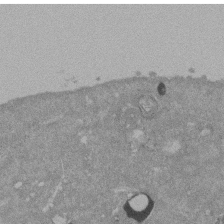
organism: Mouse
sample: ED-1 cell nuclei; centrioles